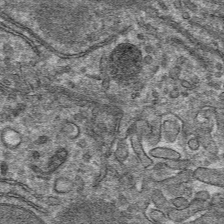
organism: Mouse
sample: Mouse hepatocytes